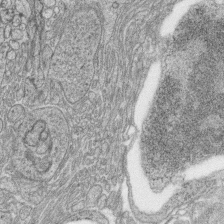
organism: Zebrafish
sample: synaptic ribbons in rod cells and cone cells